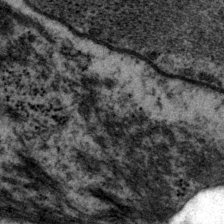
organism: P. pacificus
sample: Pharynx